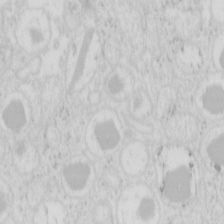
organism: Mouse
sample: Pancreas